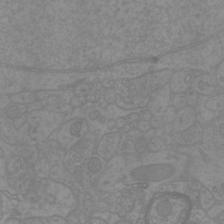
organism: Mouse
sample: Cortical neurons